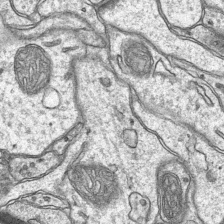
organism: Mouse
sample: CA1 Hippocampus